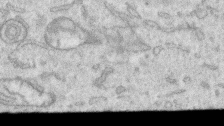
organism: Human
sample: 1205lu cells